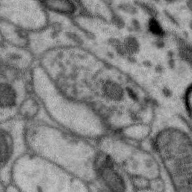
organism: Zebra finch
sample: Brain